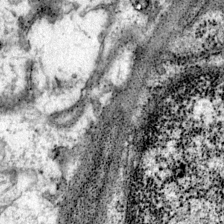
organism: Mouse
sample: Primary visual cortex